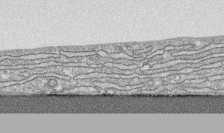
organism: Human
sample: CRL-1474